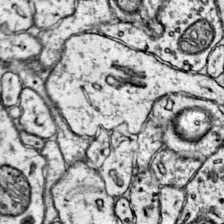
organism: Mouse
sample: Primary visual cortex